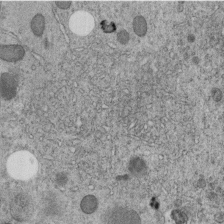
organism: C. elegans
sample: C. elegans embryo early stage